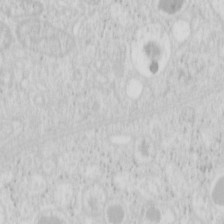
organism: Mouse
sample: Pancreas